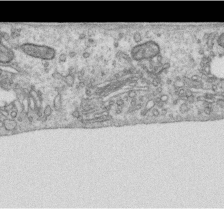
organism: Human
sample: Centriole in RPE cells